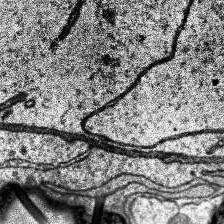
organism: Human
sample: Temporal Lobe